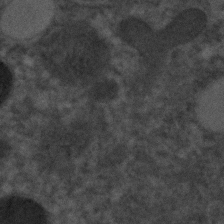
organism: C. elegans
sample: C. elegans embryo